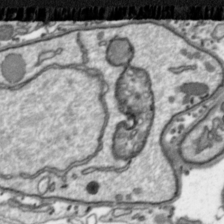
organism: Toxoplasma gondii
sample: Parasites in a vacuole inside a host cell